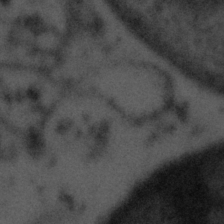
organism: Tuwongella immobilis